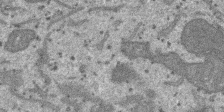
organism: Human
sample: Lung epithelial cells infected with SARS-CoV-2